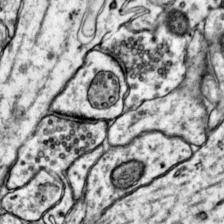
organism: Mouse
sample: Primary visual cortex